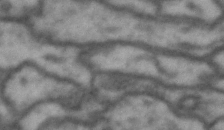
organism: Drosophila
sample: Brain